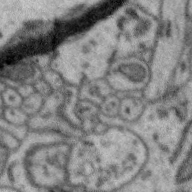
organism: Zebra finch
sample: Brain